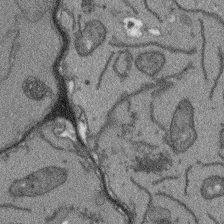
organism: Arabidopsis thaliana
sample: Root tip